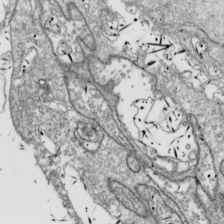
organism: Drosophila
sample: Cell division; meiosis; drosophila spermatocytes